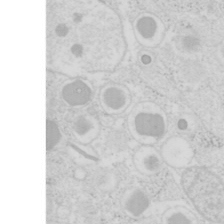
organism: Mouse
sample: Pancreas